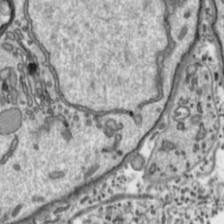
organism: Toxoplasma gondii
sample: Parasites in a vacuole inside a host cell